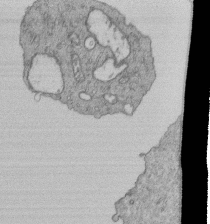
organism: Human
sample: Retinal organoid Rod and Cone cells